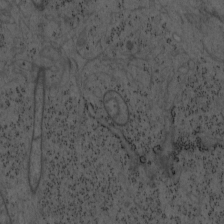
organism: Mouse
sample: OT-I killer T cells with ID8 ovarian cancer cells